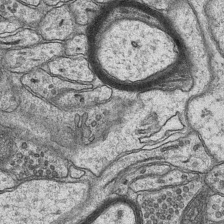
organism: Mouse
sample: CA1 Hippocampus